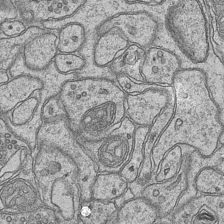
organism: Mouse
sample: CA1 Hippocampus